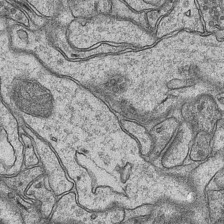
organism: Mouse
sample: CA1 Hippocampus